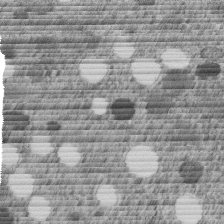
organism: C. elegans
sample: C. elegans embryo early stage